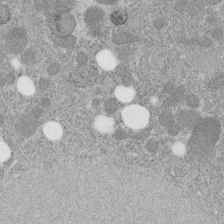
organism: C. elegans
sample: C. elegans embryo early stage